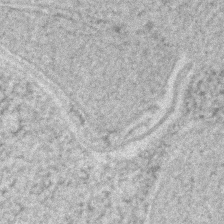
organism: Human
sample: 1205lu cells